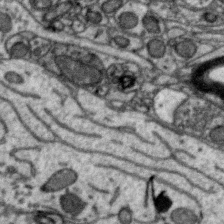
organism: Zebra finch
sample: Brain